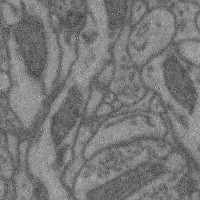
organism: Mouse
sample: Cerebral cortex